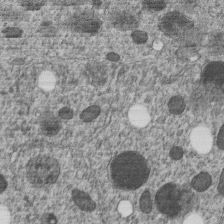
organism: C. elegans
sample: C. elegans embryo early stage